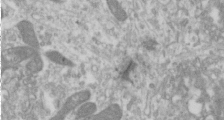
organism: Human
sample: Cilia; basal body in RPE cells